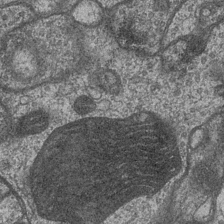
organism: Drosophila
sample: Optic medulla